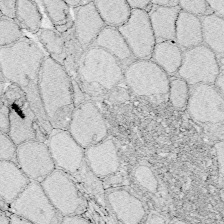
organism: Zebrafish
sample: Whole-Brain